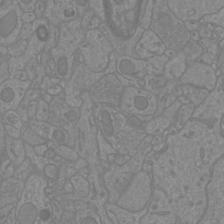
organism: Mouse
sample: Cortical neurons